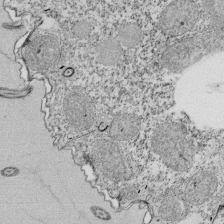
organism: Tetrahymena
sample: Cilia in tetrahymena